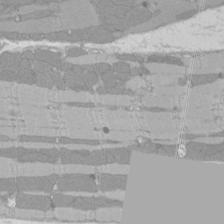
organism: Rat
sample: Left ventricle